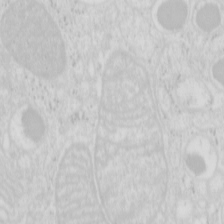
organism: Mouse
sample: Pancreas